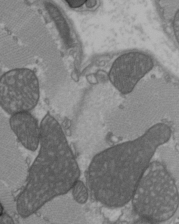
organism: C57BL Mouse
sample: Heart